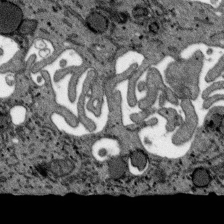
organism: Human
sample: Lung epithelial cells, uninfected (mock) control